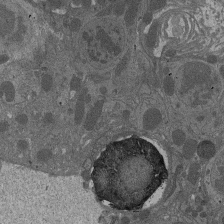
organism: Drosophila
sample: Antenna